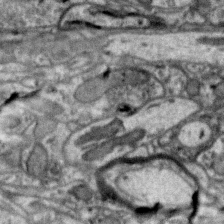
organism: Zebra finch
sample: Brain